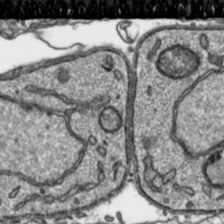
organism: Toxoplasma gondii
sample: Parasites in a vacuole inside a host cell